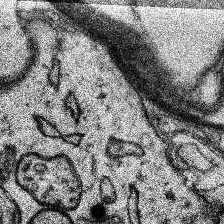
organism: Human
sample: Temporal Lobe